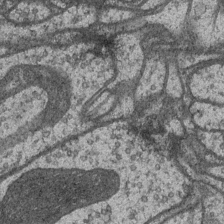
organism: Drosophila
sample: Optic medulla